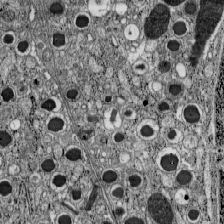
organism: C57BL Mouse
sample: Pancreatic islet